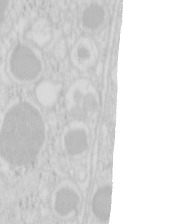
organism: Mouse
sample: Pancreas